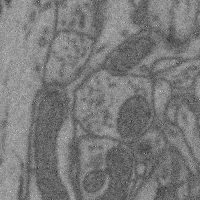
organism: Mouse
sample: Cerebral cortex